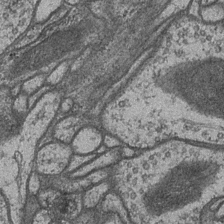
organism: Drosophila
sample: Optic medulla